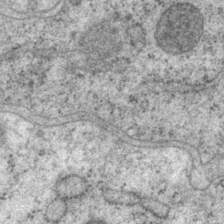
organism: P. pacificus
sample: Pharynx